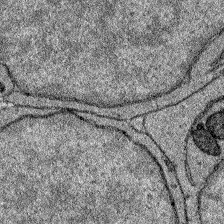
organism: Zebrafish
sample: Larval olfactory bulb